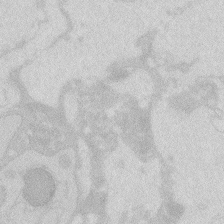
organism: Zebrafish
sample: Macrophage